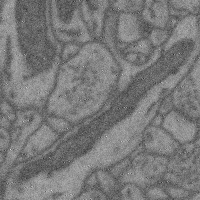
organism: Mouse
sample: Cerebral cortex